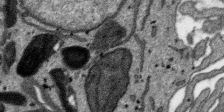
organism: Human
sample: Lung epithelial cells, uninfected (mock) control